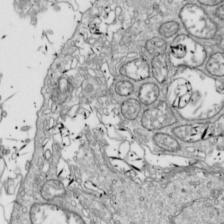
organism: Drosophila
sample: Cell division; meiosis; drosophila spermatocytes